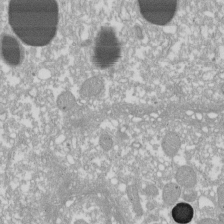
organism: Xenopus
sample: Cilia; centrioles in frog embryo cells